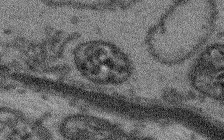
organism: Arabidopsis thaliana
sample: Root tip